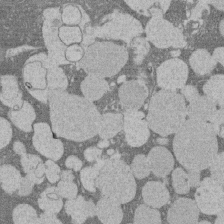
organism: Rat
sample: Salivary granule